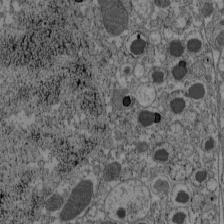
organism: C57BL Mouse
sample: Pancreatic islet